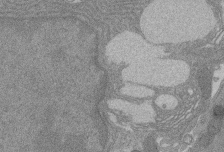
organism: Rat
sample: Salivary granule